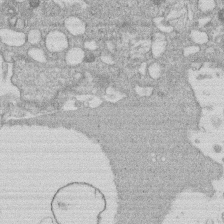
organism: Human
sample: Macrophage cells